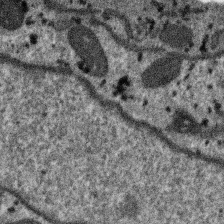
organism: Human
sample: Lung epithelial cells infected with SARS-CoV-2